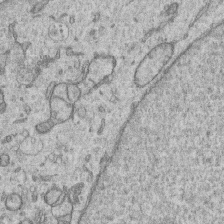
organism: Human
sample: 1205lu cells